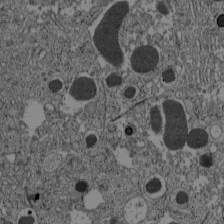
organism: C57BL Mouse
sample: Pancreatic islet